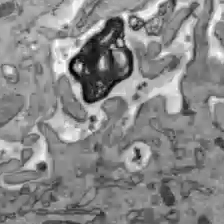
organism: C57BL Mouse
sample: Liver